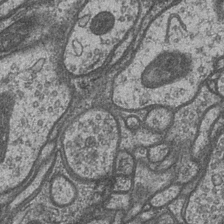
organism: Drosophila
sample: Optic medulla